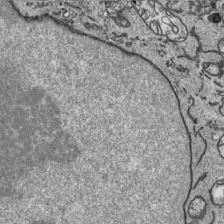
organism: Human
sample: Mitochondria in HCT116 cells